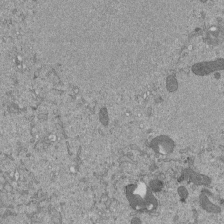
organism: Mouse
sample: ED-1 cell nuclei; centrioles